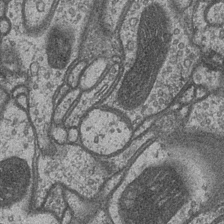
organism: Drosophila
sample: Optic medulla